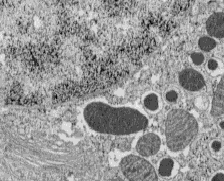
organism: C57BL Mouse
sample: Pancreatic islet